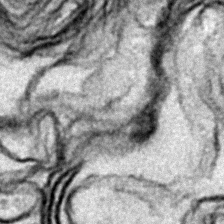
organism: Zebrafish